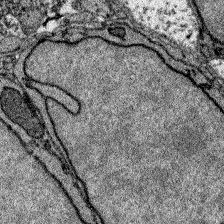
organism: Zebrafish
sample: Larval olfactory bulb